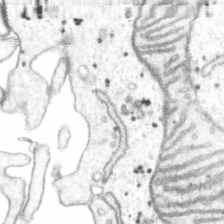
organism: Human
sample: HeLa cells